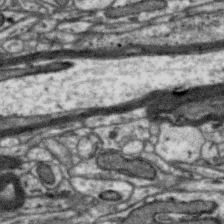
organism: Zebra finch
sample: Brain